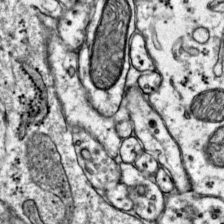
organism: Mouse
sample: Primary visual cortex